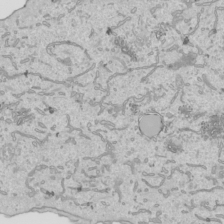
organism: Human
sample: Mitochondria in HCT116 cells